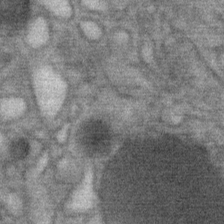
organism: Mouse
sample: Mouse Salivary gland